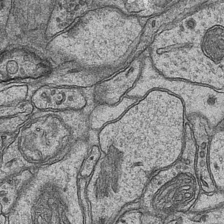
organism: Mouse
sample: CA1 Hippocampus